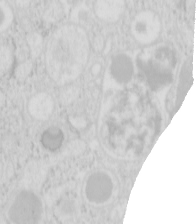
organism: Mouse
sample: Pancreas